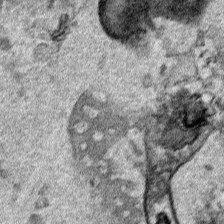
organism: Human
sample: Mitochondria in HCT116 cells